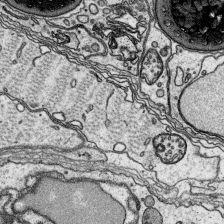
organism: Platynereis dumerilii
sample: Parapodia